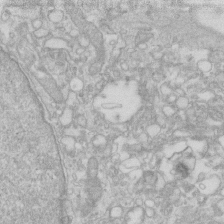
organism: Human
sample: Fibroblast cells